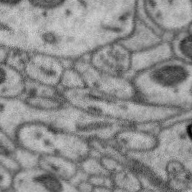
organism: Zebra finch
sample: Brain